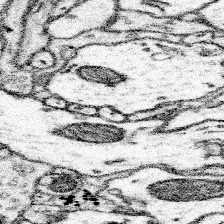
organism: Mouse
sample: Somatosensory cortex neuropil